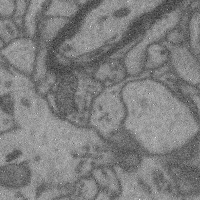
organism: Mouse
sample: Cerebral cortex